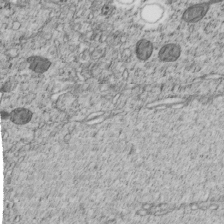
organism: C. elegans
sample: C. elegans embryo early stage